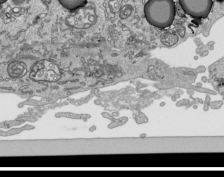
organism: Human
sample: Mitochondria in HCT116 cells